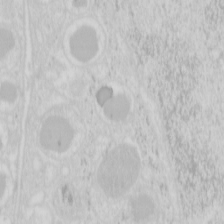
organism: Mouse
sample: Pancreas